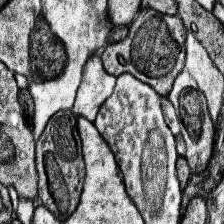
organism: Human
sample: Temporal Lobe